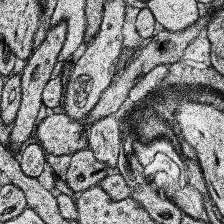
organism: Human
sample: Temporal Lobe